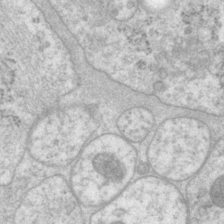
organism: P. pacificus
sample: Pharynx